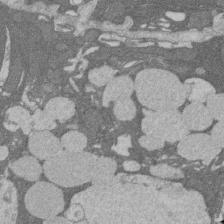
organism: Rat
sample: Salivary granule